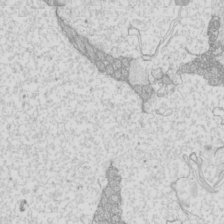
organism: Mouse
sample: Cilia; mouse epididymis